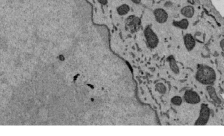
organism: Mouse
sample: ED-1 cell nuclei; centrioles